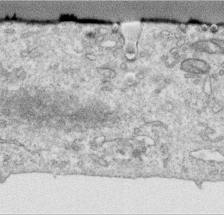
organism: Human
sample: Centriole in RPE cells